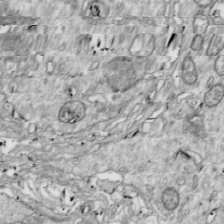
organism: Drosophila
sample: Cell division; meiosis; drosophila spermatocytes